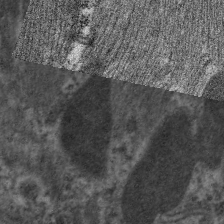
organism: C. elegans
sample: Pharynx